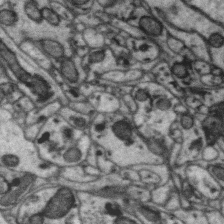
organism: Zebra finch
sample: Brain